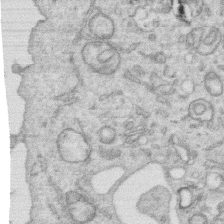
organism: Human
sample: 1205lu cells